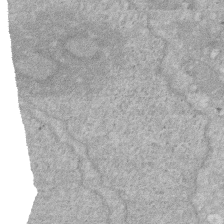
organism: Human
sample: HIV infected U937 cells